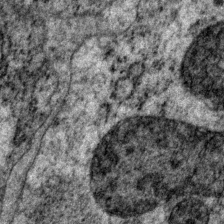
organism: P. pacificus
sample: Pharynx